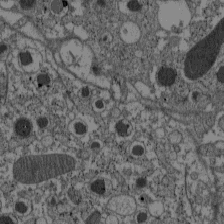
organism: C57BL Mouse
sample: Pancreatic islet